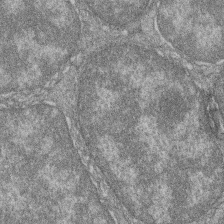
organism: Zebrafish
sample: Cilia; retinal pigment epithelium